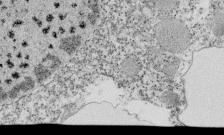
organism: Tetrahymena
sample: Cilia in tetrahymena